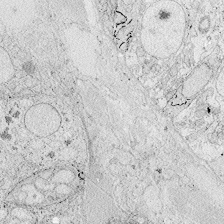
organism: Zebrafish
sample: Whole-Brain